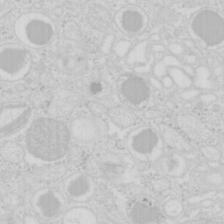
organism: Mouse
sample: Pancreas